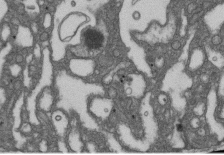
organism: Drosophila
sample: Nephrocyte